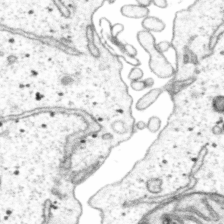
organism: Human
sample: HeLa cells